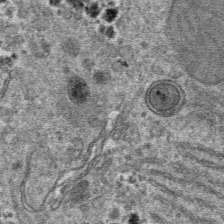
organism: Mouse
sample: Mouse hepatocytes